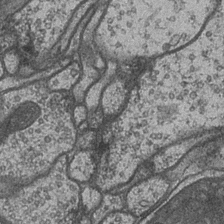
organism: Drosophila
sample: Optic medulla